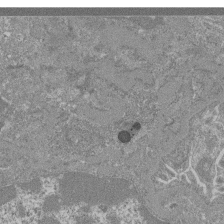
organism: Mouse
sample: Glomerulus